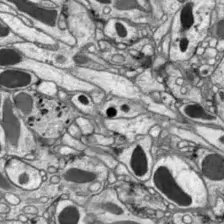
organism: Drosophila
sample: Optic lobe